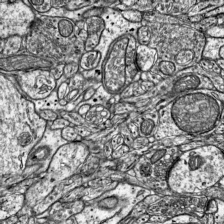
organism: Mouse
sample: Visual Cortex